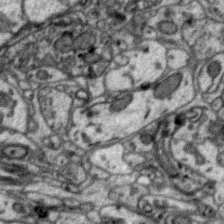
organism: Zebra finch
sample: Brain